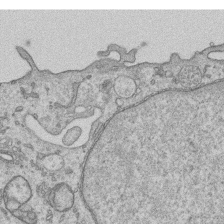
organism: Human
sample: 1205lu cells